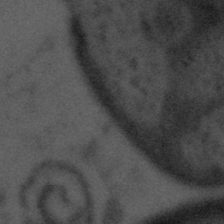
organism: Tuwongella immobilis